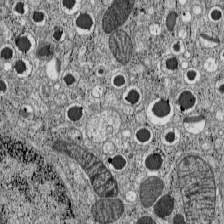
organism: C57BL Mouse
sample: Pancreatic islet